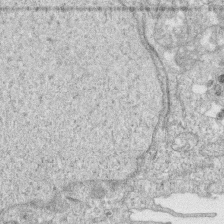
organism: Human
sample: HeLa cell HIV synapse